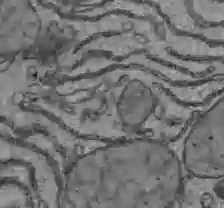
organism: C57BL Mouse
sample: Liver